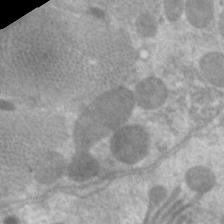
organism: C. elegans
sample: Pharynx